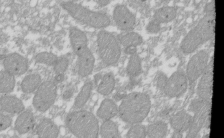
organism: Xenopus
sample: Cilia; centrioles in frog embryo cells